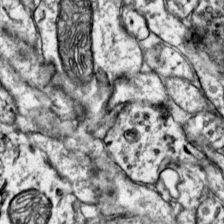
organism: Mouse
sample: Primary visual cortex